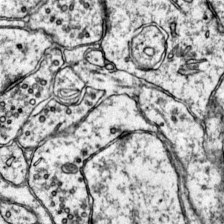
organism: Mouse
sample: Primary visual cortex